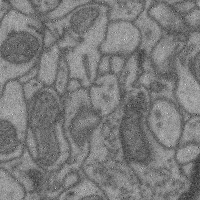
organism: Mouse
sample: Cerebral cortex